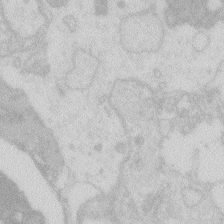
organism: Zebrafish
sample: Macrophage